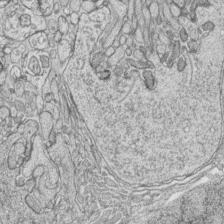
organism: Zebrafish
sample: synaptic ribbons in rod cells and cone cells